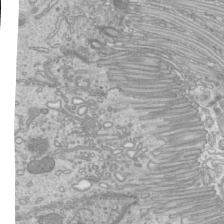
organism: Mouse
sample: Cilia; mouse epididymis